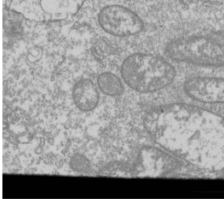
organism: Drosophila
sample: Cell division; meiosis; drosophila spermatocytes